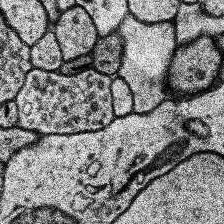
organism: Human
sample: Temporal Lobe